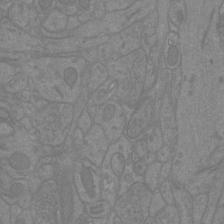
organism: Mouse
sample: Cortical neurons